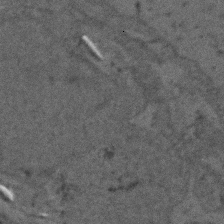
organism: Zebrafish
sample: Zebrafish embryo